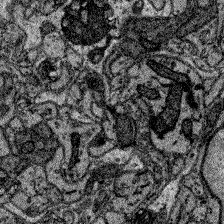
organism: Zebrafish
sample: Larval olfactory bulb